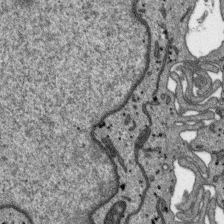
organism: Human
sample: Lung epithelial cells, uninfected (mock) control